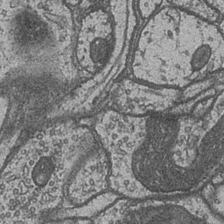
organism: Drosophila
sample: Optic medulla